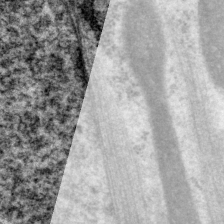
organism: P. pacificus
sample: Pharynx